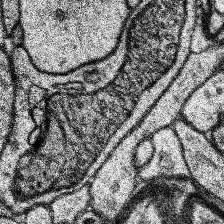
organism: Human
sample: Temporal Lobe